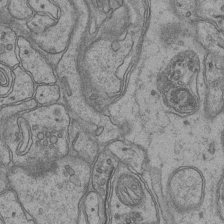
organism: Mouse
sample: CA1 Hippocampus